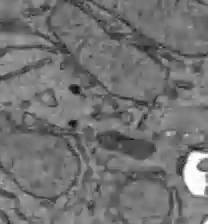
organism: C57BL Mouse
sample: Liver